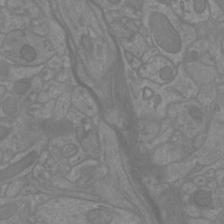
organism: Mouse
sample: Cortical neurons